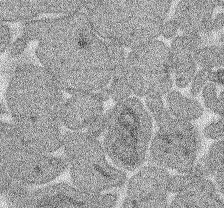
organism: Human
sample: HeLa cells